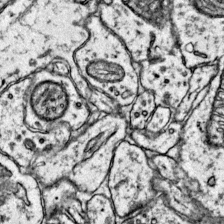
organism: Mouse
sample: Primary visual cortex